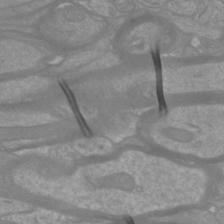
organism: Mouse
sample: Cortical neurons